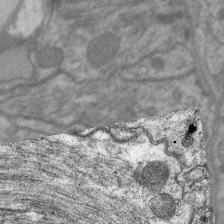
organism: C. elegans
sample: Pharynx